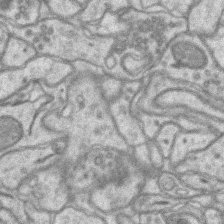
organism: Mouse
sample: CA1 Hippocampus